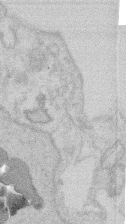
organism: Mouse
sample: T cell stromal cell synapse